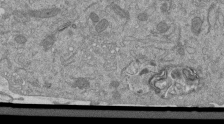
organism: Mouse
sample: ED-1 cell nuclei; centrioles